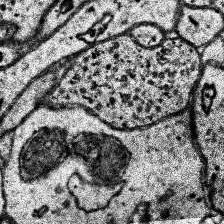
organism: Human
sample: Temporal Lobe